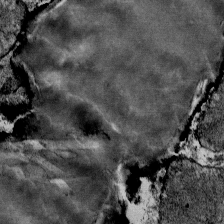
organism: Mouse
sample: Mouse Salivary gland